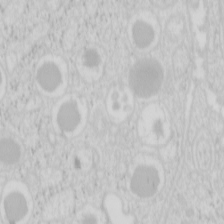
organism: Mouse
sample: Pancreas